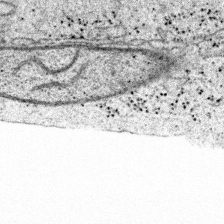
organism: Human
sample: HeLa cells